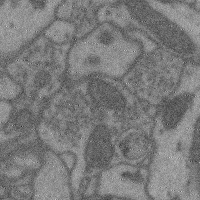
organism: Mouse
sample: Cerebral cortex